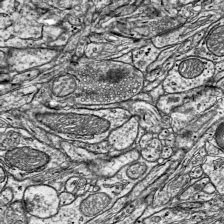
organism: Mouse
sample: Visual Cortex